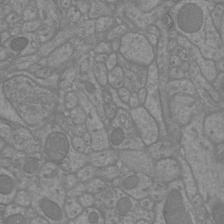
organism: Mouse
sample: Cortical neurons